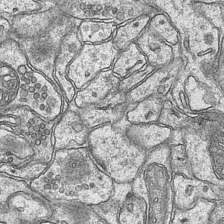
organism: Mouse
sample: CA1 Hippocampus